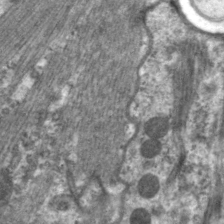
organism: C. elegans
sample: Pharynx